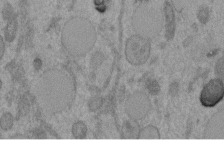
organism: C. elegans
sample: C. elegans embryo early stage